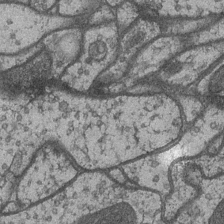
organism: Drosophila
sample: Optic medulla